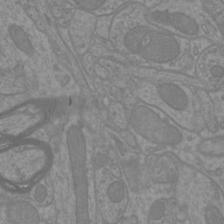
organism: Mouse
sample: Cortical neurons